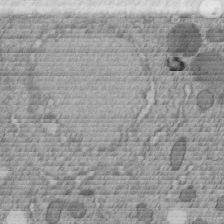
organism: C. elegans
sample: C. elegans embryo early stage